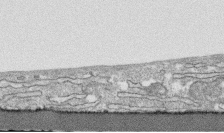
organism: Human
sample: CRL-1474